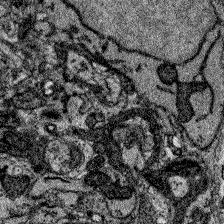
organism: Zebrafish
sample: Larval olfactory bulb